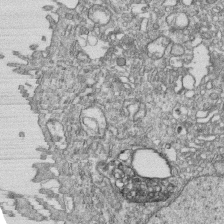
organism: Human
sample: HeLa cell HIV synapse